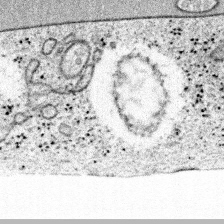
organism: Human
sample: HeLa cells